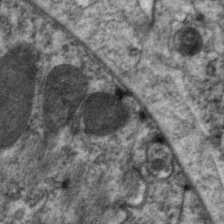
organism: C. elegans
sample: Pharynx